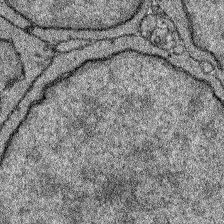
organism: Zebrafish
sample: Larval olfactory bulb